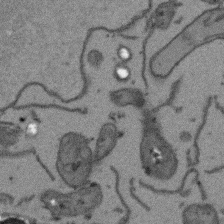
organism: Arabidopsis thaliana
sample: Root tip